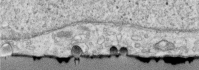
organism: Human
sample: Centriole in RPE cells